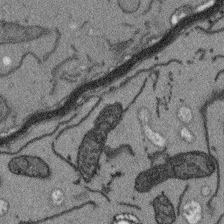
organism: Arabidopsis thaliana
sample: Root tip